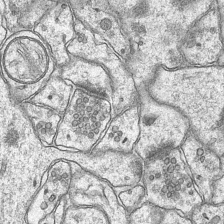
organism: Mouse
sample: CA1 Hippocampus